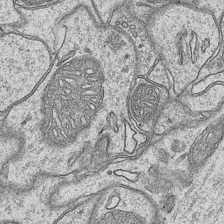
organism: Mouse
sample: CA1 Hippocampus